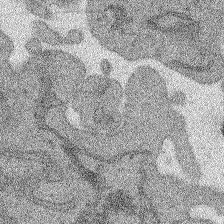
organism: Human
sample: HeLa cells